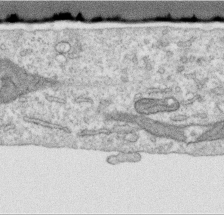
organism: Human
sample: Centriole in RPE cells